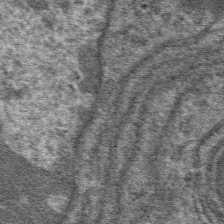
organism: Mouse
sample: Mouse hepatocytes